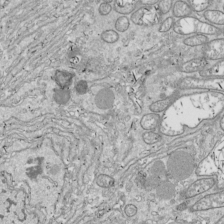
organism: Drosophila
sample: Cell division; meiosis; drosophila spermatocytes